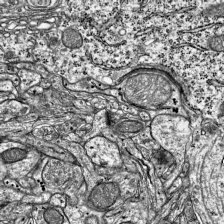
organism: Mouse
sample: Visual Cortex